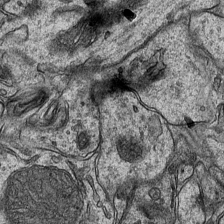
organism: Mouse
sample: CA1 Hippocampus